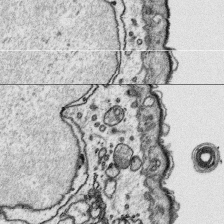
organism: Platynereis dumerilii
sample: Parapodia